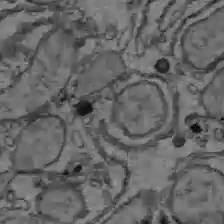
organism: C57BL Mouse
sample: Liver